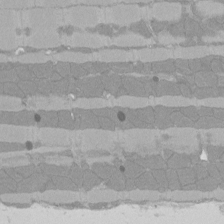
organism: Rat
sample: Left ventricle